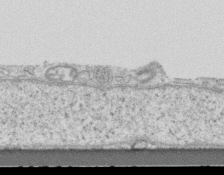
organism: Mouse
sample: Centriole in ependymal cells